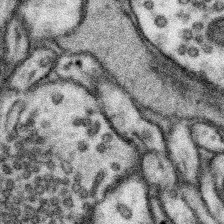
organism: Mouse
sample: Somatosensory cortex neuropil